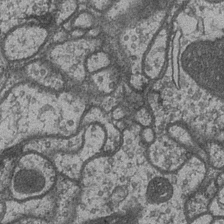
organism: Drosophila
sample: Optic medulla